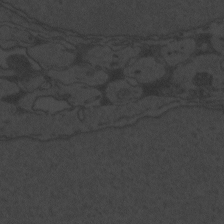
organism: Zebrafish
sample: Macrophage infected with Toxoplasma gondii